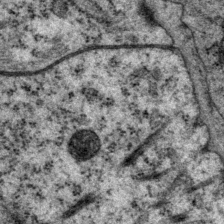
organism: P. pacificus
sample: Pharynx